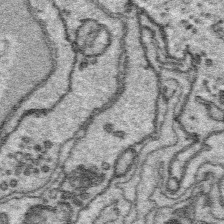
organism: Platynereis dumerilii